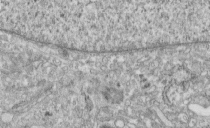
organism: Human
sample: Centriole in fibroblast cells